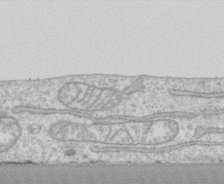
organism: Human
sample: CRL-1474